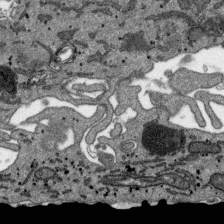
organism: Human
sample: Lung epithelial cells, uninfected (mock) control